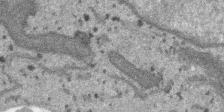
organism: Human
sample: Lung epithelial cells infected with SARS-CoV-2